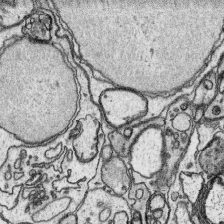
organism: Platynereis dumerilii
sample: Parapodia